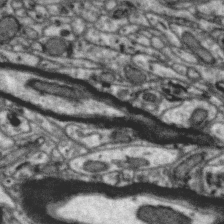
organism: Zebra finch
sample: Brain